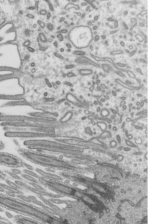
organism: Mouse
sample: Mouse epididymis efferent ductule cilia